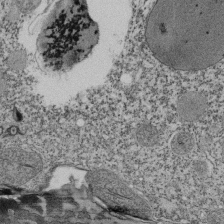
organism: Tetrahymena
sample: Cilia in tetrahymena